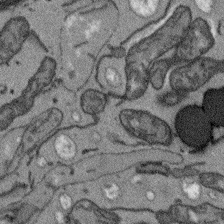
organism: Arabidopsis thaliana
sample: Root tip